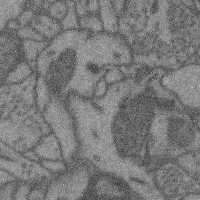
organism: Mouse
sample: Cerebral cortex